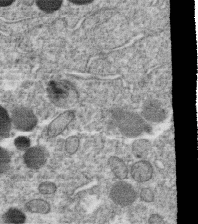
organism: C. elegans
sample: C. elegans oocyte; sperm cells